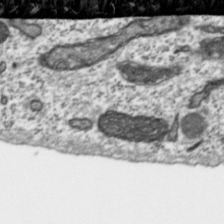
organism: Toxoplasma gondii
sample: Parasites in a vacuole inside a host cell